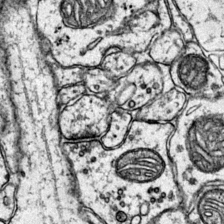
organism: Mouse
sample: Primary visual cortex